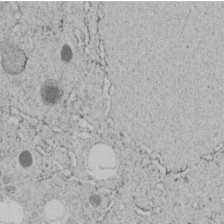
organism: C. elegans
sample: C. elegans embryo early stage